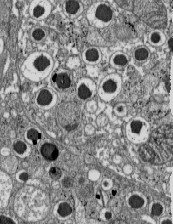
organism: C57BL Mouse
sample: Pancreatic islet